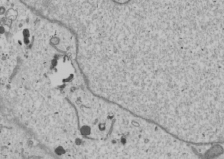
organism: Human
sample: Mitochondria in U2OS cells